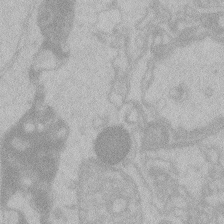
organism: Zebrafish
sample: Macrophage infected with Toxoplasma gondii